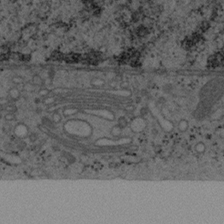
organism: Human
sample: HeLa cells